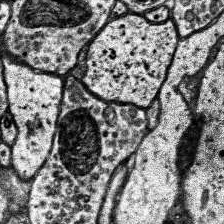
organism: Human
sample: Temporal Lobe